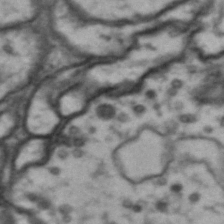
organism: Drosophila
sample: Brain